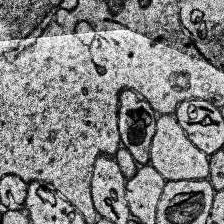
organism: Human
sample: Temporal Lobe